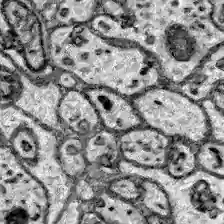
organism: Zebrafish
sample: Brain